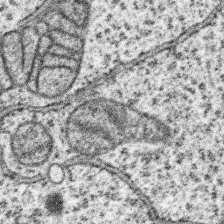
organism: Human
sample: HeLa cells